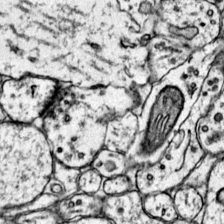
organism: Mouse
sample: Primary visual cortex